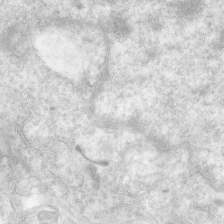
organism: Human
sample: Neocortex